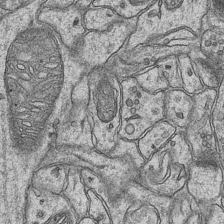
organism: Mouse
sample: CA1 Hippocampus